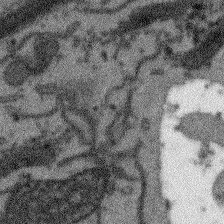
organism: Arabidopsis thaliana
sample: Root tip